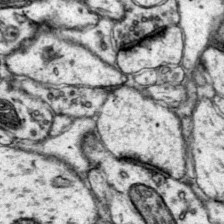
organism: Mouse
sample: Primary visual cortex